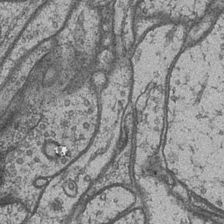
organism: Drosophila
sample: Optic medulla